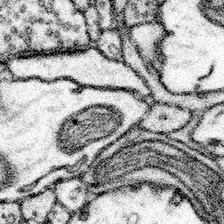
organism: Mouse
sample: Somatosensory cortex neuropil